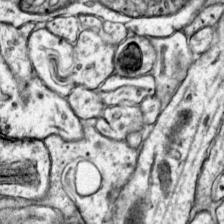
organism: Mouse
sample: Primary visual cortex